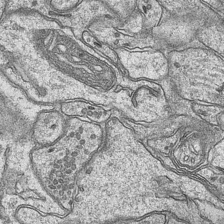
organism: Mouse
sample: CA1 Hippocampus